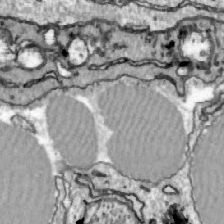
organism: Zebrafish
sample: Actinotrichia fibers